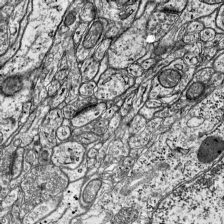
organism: Mouse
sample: Visual Cortex